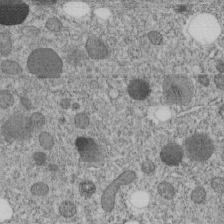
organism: C. elegans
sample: C. elegans embryo early stage